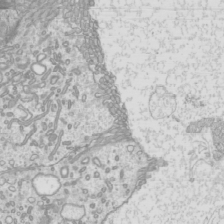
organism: Mouse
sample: Cilia; mouse epididymis